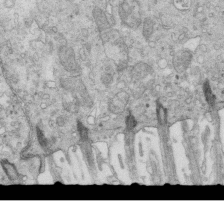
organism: Mouse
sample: Multiciliated cells